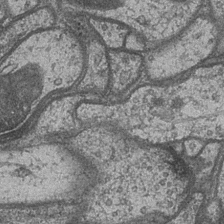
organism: Drosophila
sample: Optic medulla